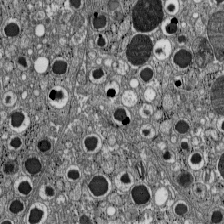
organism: C57BL Mouse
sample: Pancreatic islet